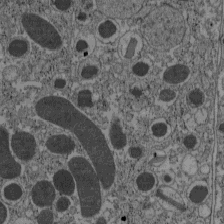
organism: C57BL Mouse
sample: Pancreatic islet